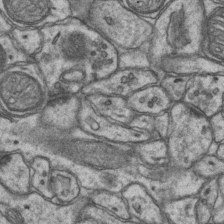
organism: Mouse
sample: CA1 Hippocampus